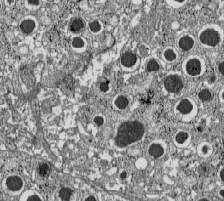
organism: C57BL Mouse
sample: Pancreatic islet